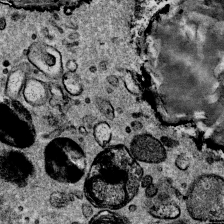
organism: Mouse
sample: Mouse Salivary gland